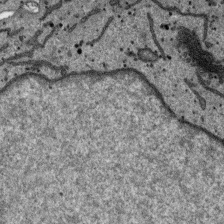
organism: Human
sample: Lung epithelial cells, uninfected (mock) control